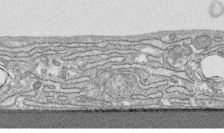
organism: Human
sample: CRL-1474